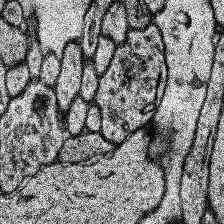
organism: Human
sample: Temporal Lobe